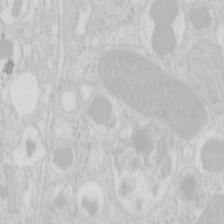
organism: Mouse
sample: Pancreas